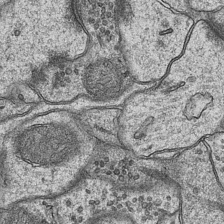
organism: Mouse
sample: CA1 Hippocampus